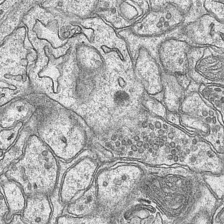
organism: Mouse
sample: CA1 Hippocampus